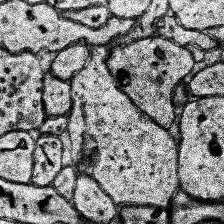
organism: Human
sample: Temporal Lobe